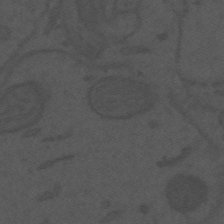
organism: Mouse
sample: Suprachiasmatic nucleus